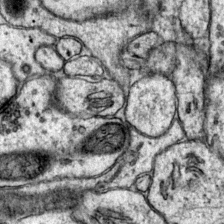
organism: Mouse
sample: Primary visual cortex